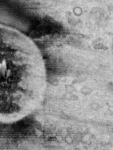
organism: Human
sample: Centriole in RPE cells